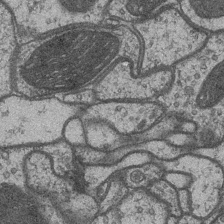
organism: Drosophila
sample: Optic medulla